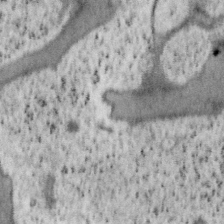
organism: Mouse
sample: OT-I killer T cells with ID8 ovarian cancer cells